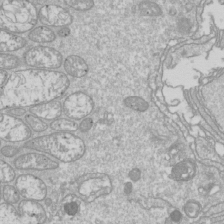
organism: Drosophila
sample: Cell division; meiosis; drosophila spermatocytes